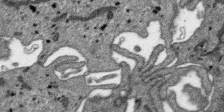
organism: Human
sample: Lung epithelial cells, uninfected (mock) control